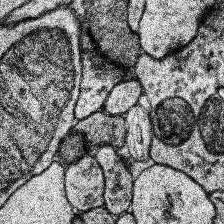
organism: Human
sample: Temporal Lobe